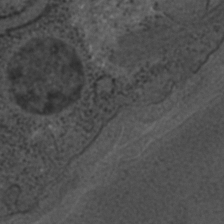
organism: C. elegans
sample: C. elegans embryo